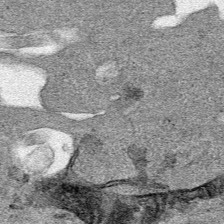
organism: Human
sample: Mitochondria in HCT116 cells